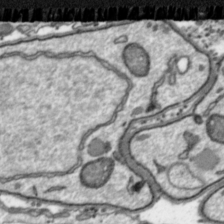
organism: Toxoplasma gondii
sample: Parasites in a vacuole inside a host cell